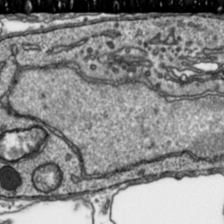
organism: Toxoplasma gondii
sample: Parasites in a vacuole inside a host cell